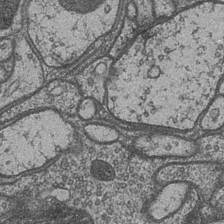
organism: Drosophila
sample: Optic medulla